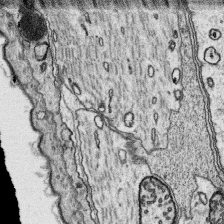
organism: Platynereis dumerilii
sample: Parapodia